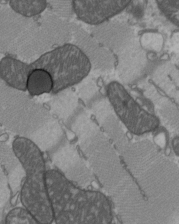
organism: C57BL Mouse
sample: Heart